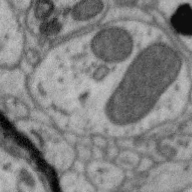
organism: Zebra finch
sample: Brain